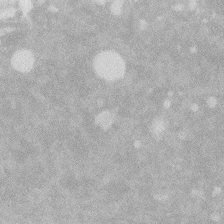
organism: Zebrafish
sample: Macrophage